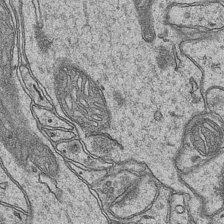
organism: Mouse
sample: CA1 Hippocampus